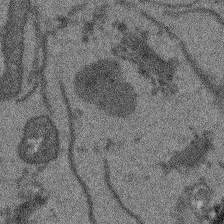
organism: Arabidopsis thaliana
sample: Root tip